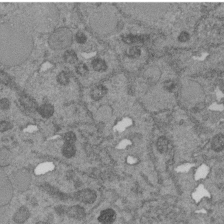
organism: C. elegans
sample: C. elegans embryo early stage